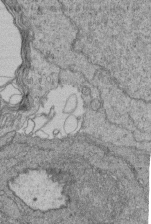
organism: Human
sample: Retinal organoid Rod and Cone cells